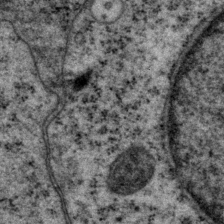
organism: P. pacificus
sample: Pharynx